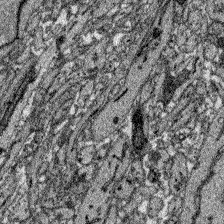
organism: Zebrafish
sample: Larval olfactory bulb